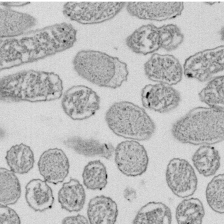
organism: E. coli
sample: Bacterial nucleoid